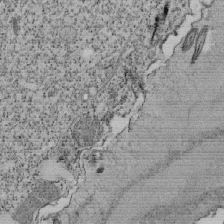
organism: Tetrahymena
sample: Cilia in tetrahymena